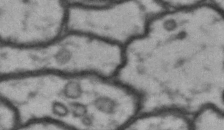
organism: Drosophila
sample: Brain